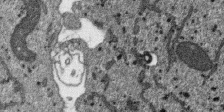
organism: Human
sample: Lung epithelial cells infected with SARS-CoV-2